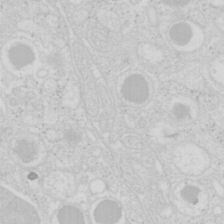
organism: Mouse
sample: Pancreas